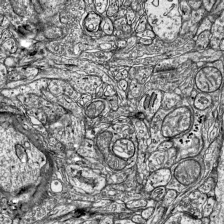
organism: Mouse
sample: Visual Cortex